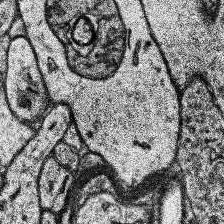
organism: Human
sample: Temporal Lobe